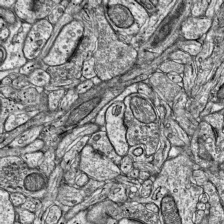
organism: Mouse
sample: Visual Cortex